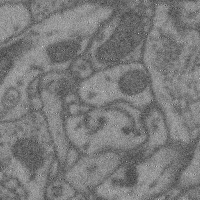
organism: Mouse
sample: Cerebral cortex